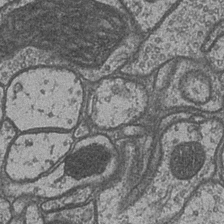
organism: Drosophila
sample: Optic medulla